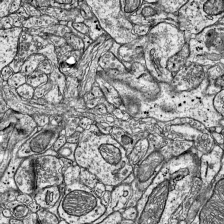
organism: Mouse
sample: Visual Cortex